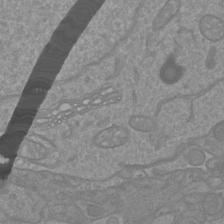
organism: Mouse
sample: Cortical neurons